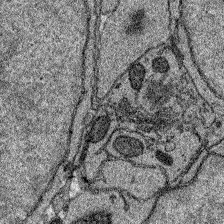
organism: Zebrafish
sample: Larval olfactory bulb